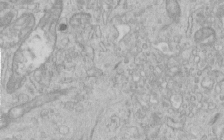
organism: Human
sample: Centriole in RPE cells